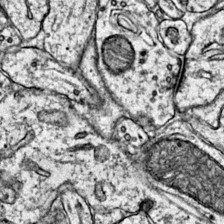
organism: Mouse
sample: Primary visual cortex